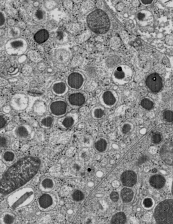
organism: C57BL Mouse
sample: Pancreatic islet